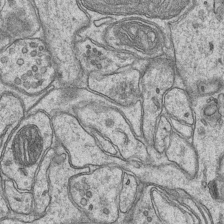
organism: Mouse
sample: CA1 Hippocampus